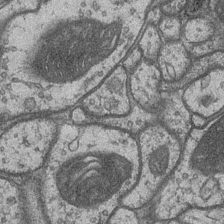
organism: Drosophila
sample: Optic medulla